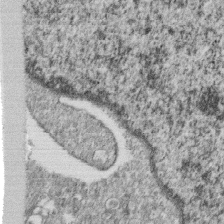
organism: African green monkey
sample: Vero E6 cells infected with SARS-CoV-2